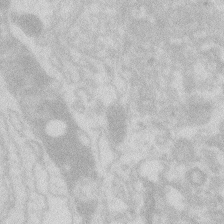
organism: Zebrafish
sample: Macrophage